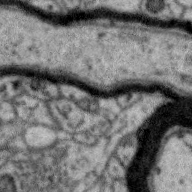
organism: Zebra finch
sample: Brain